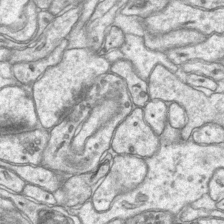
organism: Mouse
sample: CA1 Hippocampus